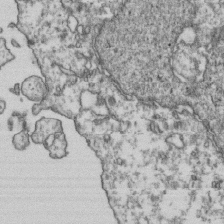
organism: Human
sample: Activated Jurkat CD4+ T cells